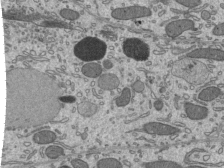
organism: Mouse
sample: Mouse epididymis efferent ductule cilia